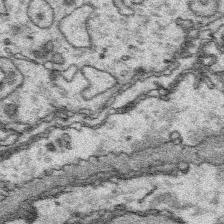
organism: Platynereis dumerilii